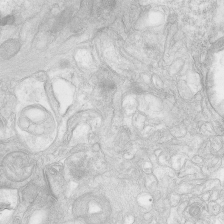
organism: Human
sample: Neocortex